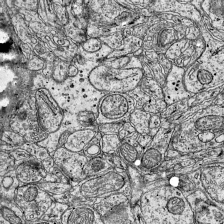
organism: Mouse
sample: Visual Cortex